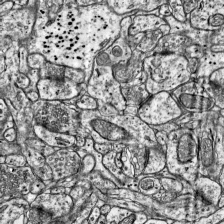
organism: Mouse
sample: Visual Cortex